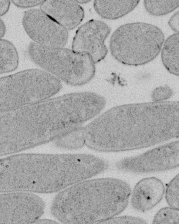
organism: E. coli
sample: Bacterial nucleoid